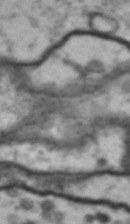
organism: Drosophila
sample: Brain